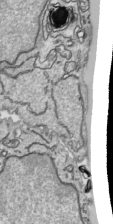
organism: Human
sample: Mitochondria in HCT116 cells